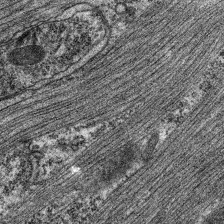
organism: C. elegans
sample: Pharynx